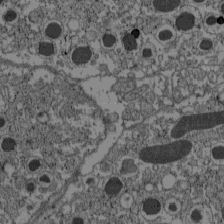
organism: C57BL Mouse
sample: Pancreatic islet